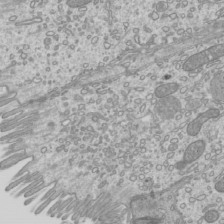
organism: Mouse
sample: Cilia; mouse epididymis